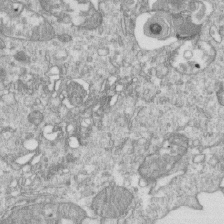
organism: Mouse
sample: Activated OT-1 CD8+ T cells